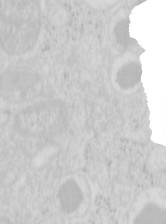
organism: Mouse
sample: Pancreas